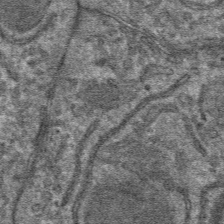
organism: Mouse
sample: Mouse hepatocytes